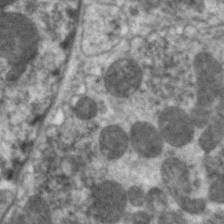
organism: C. elegans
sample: Pharynx